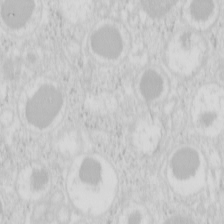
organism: Mouse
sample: Pancreas